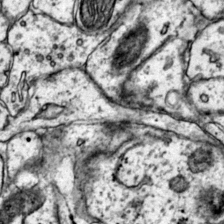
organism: Mouse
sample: Primary visual cortex